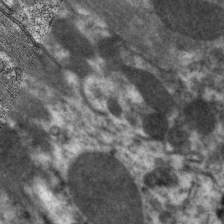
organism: C. elegans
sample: Pharynx